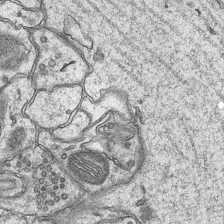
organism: Mouse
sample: CA1 Hippocampus